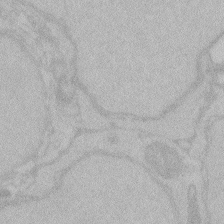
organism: Zebrafish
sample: Macrophage infected with Toxoplasma gondii